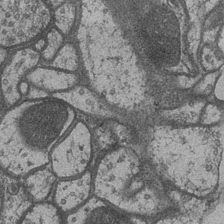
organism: Drosophila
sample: Optic medulla